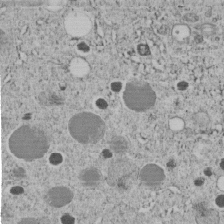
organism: C. elegans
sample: C. elegans embryo early stage